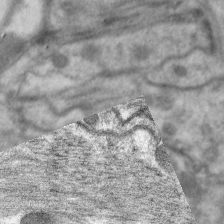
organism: C. elegans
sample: Pharynx